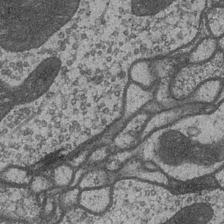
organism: Drosophila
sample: Optic medulla